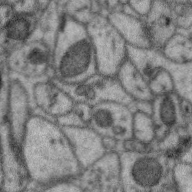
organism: Zebra finch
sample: Brain